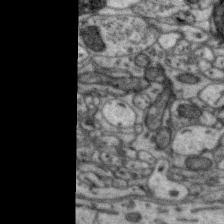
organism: Zebra finch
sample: Brain